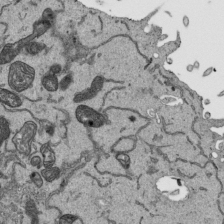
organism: Human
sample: Mitochondria in HCT116 cells